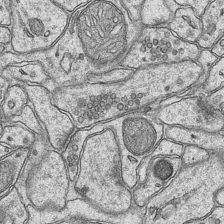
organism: Mouse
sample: CA1 Hippocampus